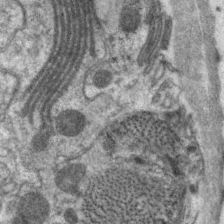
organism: C. elegans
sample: Pharynx